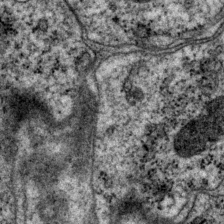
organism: P. pacificus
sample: Pharynx